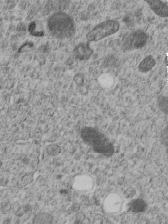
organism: C. elegans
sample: C. elegans embryo early stage